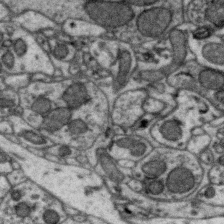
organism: Zebra finch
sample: Brain